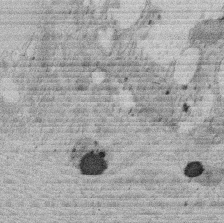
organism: Rat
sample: Salivary granule